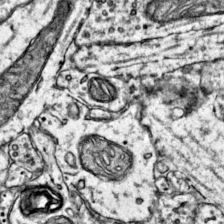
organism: Mouse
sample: Primary visual cortex